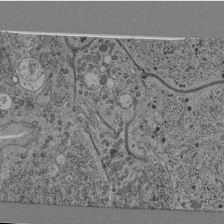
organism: C. elegans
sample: C. elegans pharynx